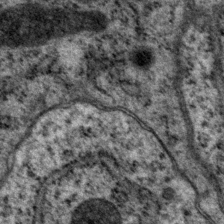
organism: P. pacificus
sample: Pharynx